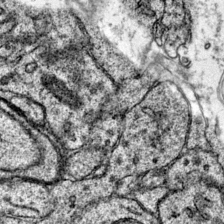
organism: Mouse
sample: Primary visual cortex